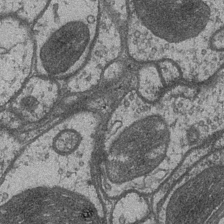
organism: Drosophila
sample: Optic medulla